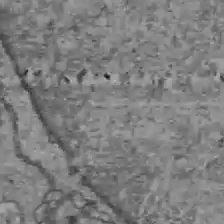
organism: C57BL Mouse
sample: Liver